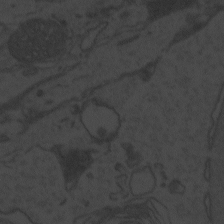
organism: Zebrafish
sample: Macrophage infected with Toxoplasma gondii